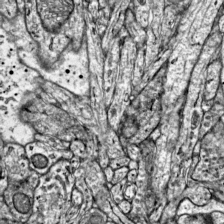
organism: Mouse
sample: Visual Cortex